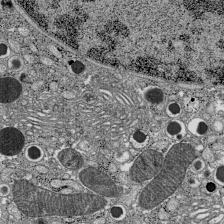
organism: C57BL Mouse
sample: Pancreatic islet